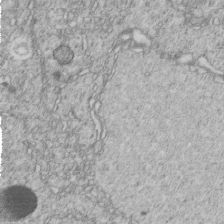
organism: C. elegans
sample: C. elegans embryo early stage